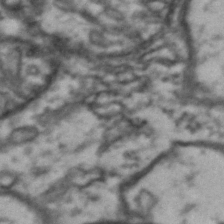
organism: Drosophila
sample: Brain